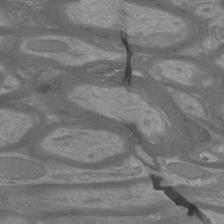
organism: Mouse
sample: Cortical neurons